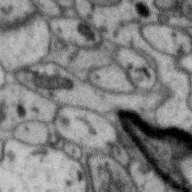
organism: Zebra finch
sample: Brain